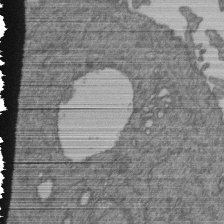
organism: Human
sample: Retinal organoid Rod and Cone cells